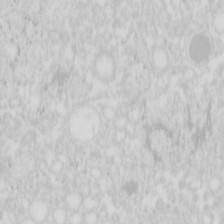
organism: Mouse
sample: Pancreas